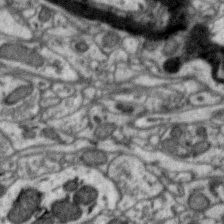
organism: Zebra finch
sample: Brain